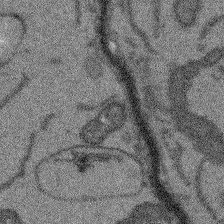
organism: Arabidopsis thaliana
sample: Root tip